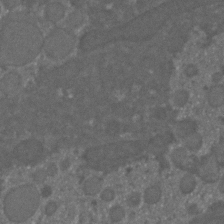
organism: C. elegans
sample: C. elegans embryo